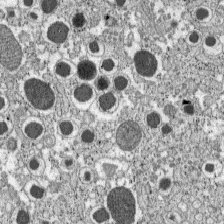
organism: C57BL Mouse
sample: Pancreatic islet